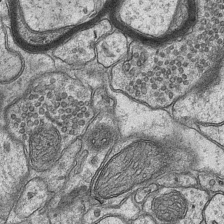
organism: Mouse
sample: CA1 Hippocampus